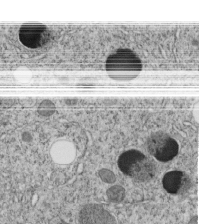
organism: C. elegans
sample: C. elegans embryo early stage